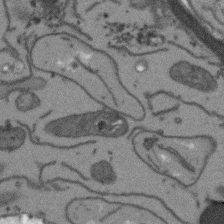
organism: Arabidopsis thaliana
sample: Root tip